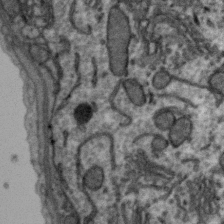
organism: Zebra finch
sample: Brain